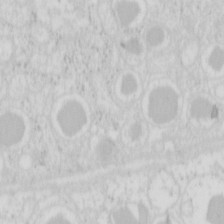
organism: Mouse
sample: Pancreas